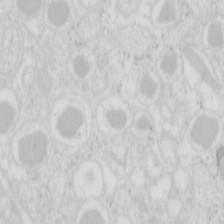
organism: Mouse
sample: Pancreas